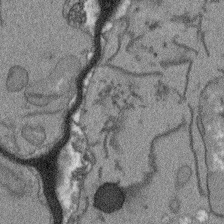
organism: Arabidopsis thaliana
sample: Root tip